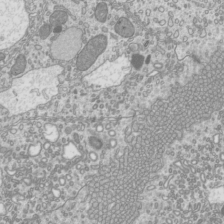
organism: Mouse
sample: Cilia; mouse epididymis